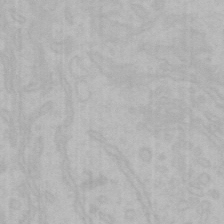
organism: Mouse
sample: Choroid plexus